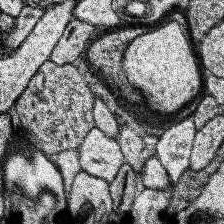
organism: Human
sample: Temporal Lobe